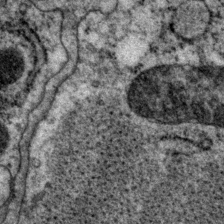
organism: P. pacificus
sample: Pharynx